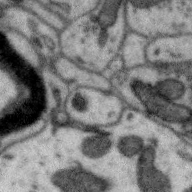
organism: Zebra finch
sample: Brain